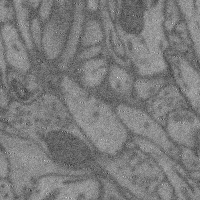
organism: Mouse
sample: Cerebral cortex